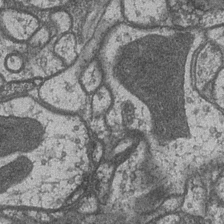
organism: Drosophila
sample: Optic medulla